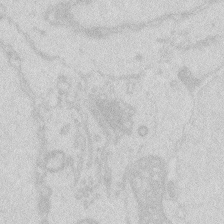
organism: Zebrafish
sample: Macrophage